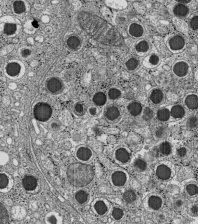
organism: C57BL Mouse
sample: Pancreatic islet